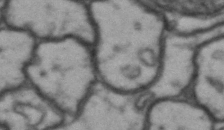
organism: Drosophila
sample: Brain